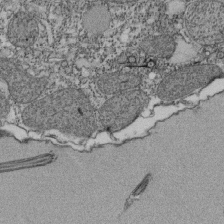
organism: Tetrahymena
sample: Cilia in tetrahymena